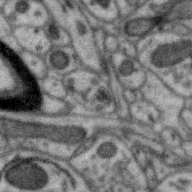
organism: Zebra finch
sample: Brain